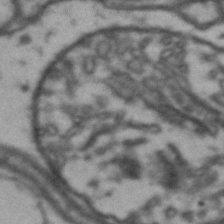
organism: Drosophila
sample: Brain